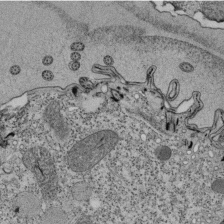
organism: Tetrahymena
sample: Cilia in tetrahymena